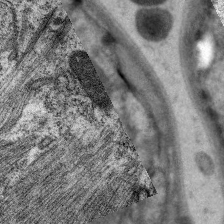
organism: C. elegans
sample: Pharynx